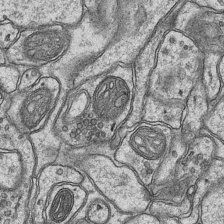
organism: Mouse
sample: CA1 Hippocampus